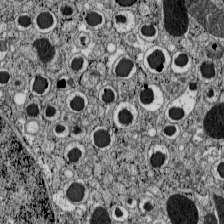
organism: C57BL Mouse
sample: Pancreatic islet